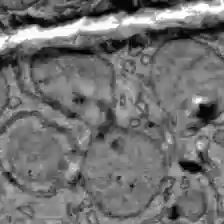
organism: C57BL Mouse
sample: Liver